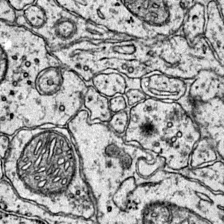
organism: Mouse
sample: Primary visual cortex